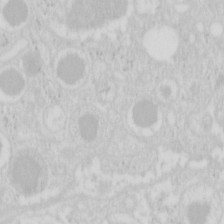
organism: Mouse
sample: Pancreas